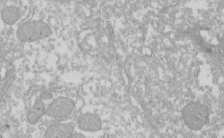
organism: Xenopus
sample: Cilia; centrioles in frog embryo cells